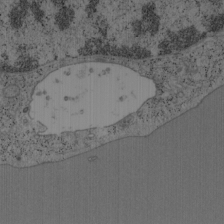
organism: Mouse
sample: OT-I killer T cells with ID8 ovarian cancer cells